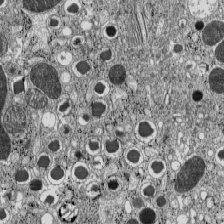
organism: C57BL Mouse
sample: Pancreatic islet